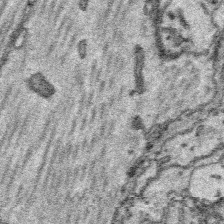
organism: Platynereis dumerilii